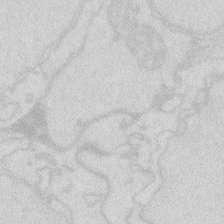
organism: Zebrafish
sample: Macrophage